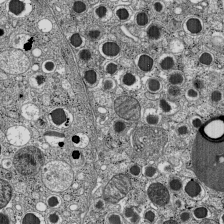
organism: C57BL Mouse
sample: Pancreatic islet